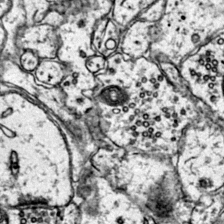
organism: Mouse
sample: Primary visual cortex